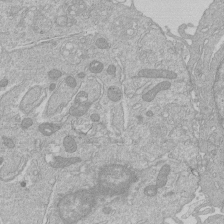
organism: Human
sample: Macrophage cells